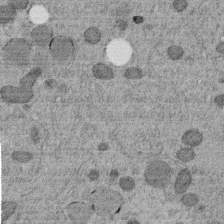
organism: C. elegans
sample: C. elegans embryo early stage